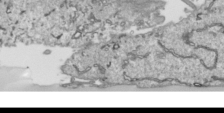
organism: Human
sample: Mitochondria in HCT116 cells